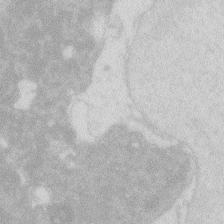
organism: Zebrafish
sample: Macrophage